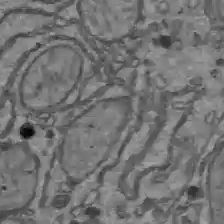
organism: C57BL Mouse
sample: Liver